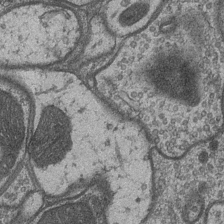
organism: Drosophila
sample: Optic medulla